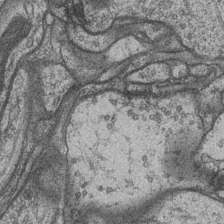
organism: Drosophila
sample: Optic medulla